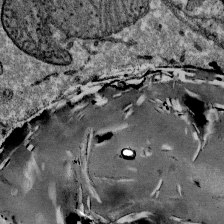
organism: Mouse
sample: Mouse Salivary gland